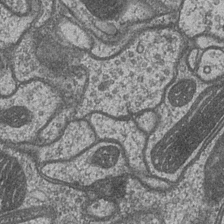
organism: Drosophila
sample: Optic medulla